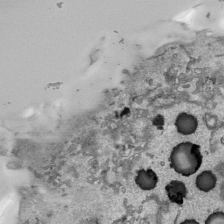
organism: Human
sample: Mitochondria in HCT116 cells